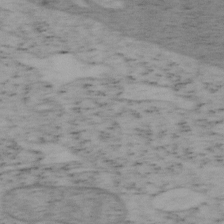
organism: Mouse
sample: OT-I killer T cells with ID8 ovarian cancer cells